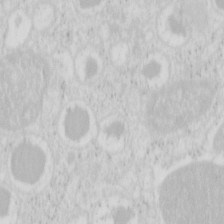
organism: Mouse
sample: Pancreas